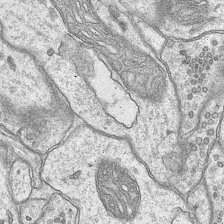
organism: Mouse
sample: CA1 Hippocampus